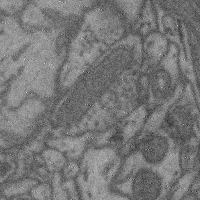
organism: Mouse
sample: Cerebral cortex